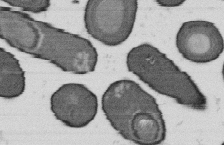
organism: B. subtilis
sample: Bacterial spore